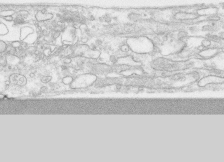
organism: Human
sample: CRL-1474